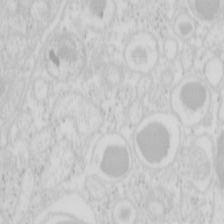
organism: Mouse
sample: Pancreas